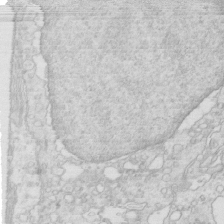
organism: Mouse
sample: Multiciliated cells